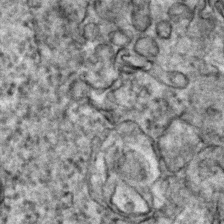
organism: Zebrafish